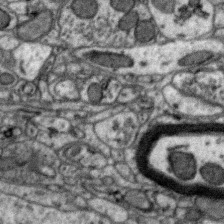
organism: Zebra finch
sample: Brain